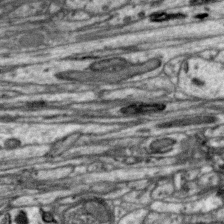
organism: Zebra finch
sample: Brain